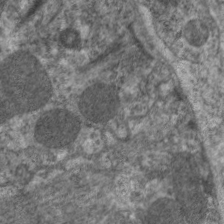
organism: C. elegans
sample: Pharynx